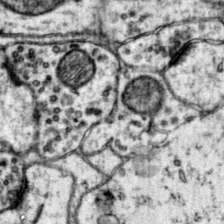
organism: Mouse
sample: Primary visual cortex